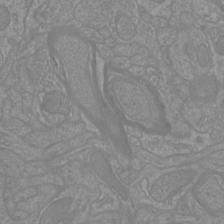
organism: Mouse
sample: Cortical neurons